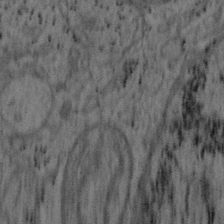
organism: Human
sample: HeLa cells